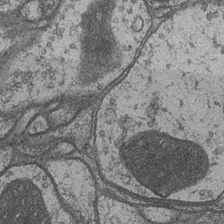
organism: Drosophila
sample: Optic medulla